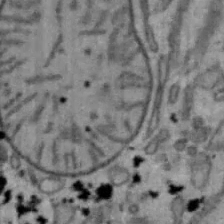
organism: Mouse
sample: Liver